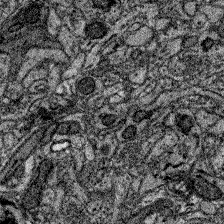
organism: Zebrafish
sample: Larval olfactory bulb